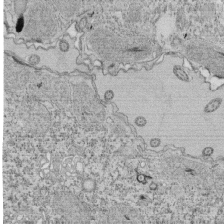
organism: Tetrahymena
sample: Cilia in tetrahymena